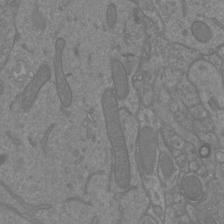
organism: Mouse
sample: Cortical neurons